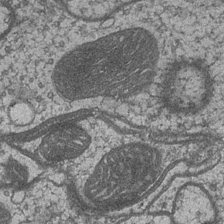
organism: Drosophila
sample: Optic medulla